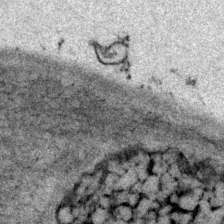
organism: P. pacificus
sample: Pharynx